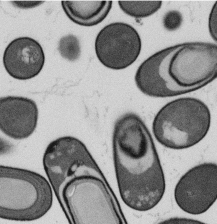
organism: B. subtilis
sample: Bacterial spore